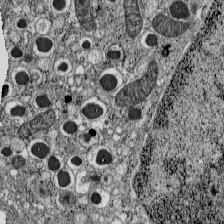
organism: C57BL Mouse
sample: Pancreatic islet